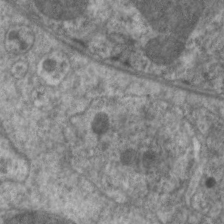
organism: C. elegans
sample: Pharynx